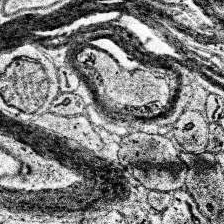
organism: Human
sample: Temporal Lobe